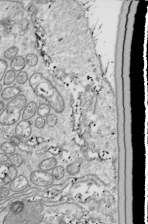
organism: Drosophila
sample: Cell division; meiosis; drosophila spermatocytes